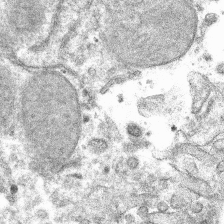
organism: Mouse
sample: Mouse hepatocytes